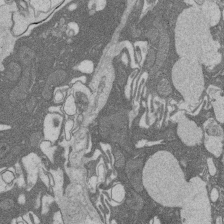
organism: Rat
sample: Salivary granule